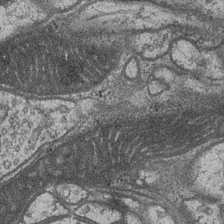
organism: Drosophila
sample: Optic medulla